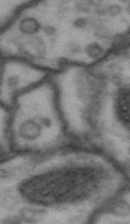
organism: Drosophila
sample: Brain